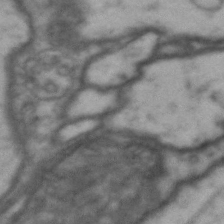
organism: Drosophila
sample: Brain